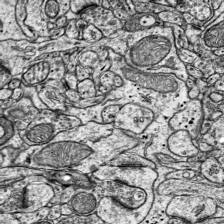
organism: Mouse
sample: Visual Cortex